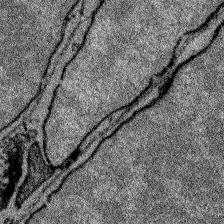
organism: Zebrafish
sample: Larval olfactory bulb